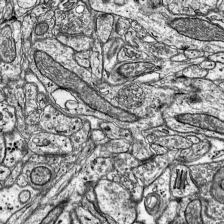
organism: Mouse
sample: Visual Cortex